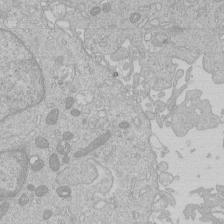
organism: Human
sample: Macrophage cells